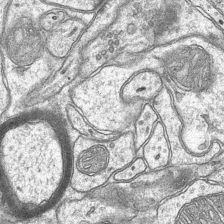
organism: Mouse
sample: CA1 Hippocampus